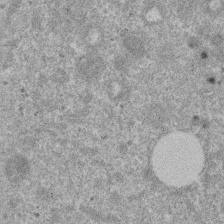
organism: Mouse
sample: Dividing mouse embryo 1 cell stage